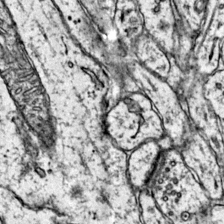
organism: Mouse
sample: Primary visual cortex